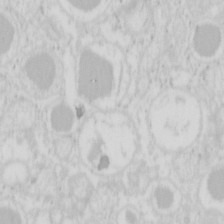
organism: Mouse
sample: Pancreas